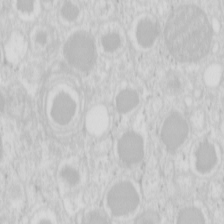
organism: Mouse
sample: Pancreas